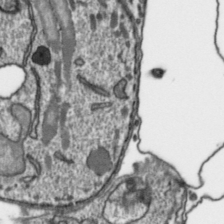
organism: Toxoplasma gondii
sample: Parasites in a vacuole inside a host cell